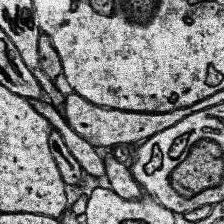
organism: Human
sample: Temporal Lobe